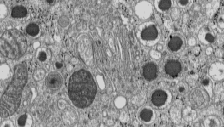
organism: C57BL Mouse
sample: Pancreatic islet